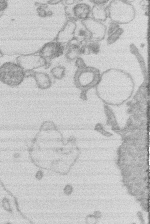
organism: Human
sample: Macrophage cells